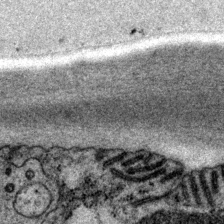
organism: P. pacificus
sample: Pharynx